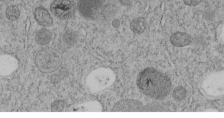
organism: C. elegans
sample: C. elegans embryo early stage